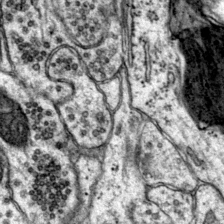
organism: Mouse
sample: Primary visual cortex